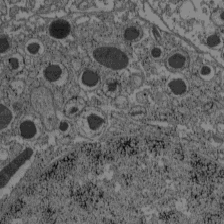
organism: C57BL Mouse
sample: Pancreatic islet